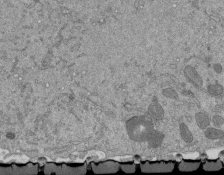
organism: Mouse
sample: ED-1 cell nuclei; centrioles